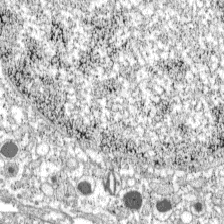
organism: C57BL Mouse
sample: Pancreatic islet